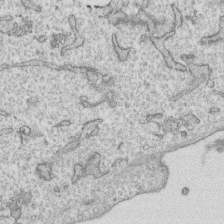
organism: Human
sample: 1205lu cells